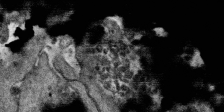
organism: Human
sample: Lung epithelial cells, uninfected (mock) control